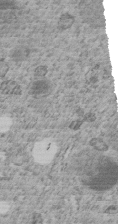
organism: C. elegans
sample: C. elegans embryo early stage